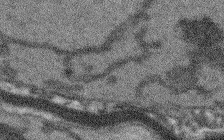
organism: Arabidopsis thaliana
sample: Root tip